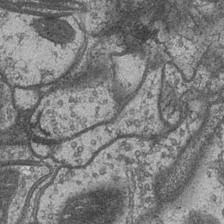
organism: Drosophila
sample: Optic medulla